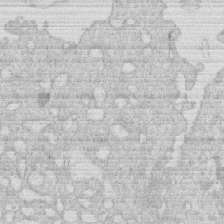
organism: Human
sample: Macrophage cells